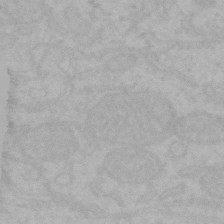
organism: Mouse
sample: Choroid plexus